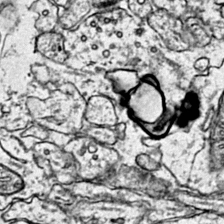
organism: Mouse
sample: Primary visual cortex